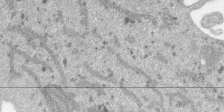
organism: Human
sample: Lung epithelial cells infected with SARS-CoV-2